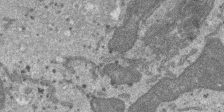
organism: Human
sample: Lung epithelial cells infected with SARS-CoV-2